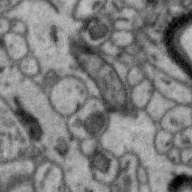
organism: Zebra finch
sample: Brain